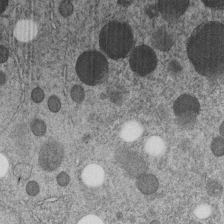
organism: C. elegans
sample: C. elegans embryo early stage